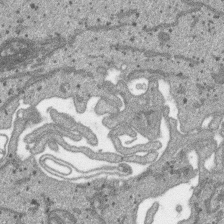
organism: Human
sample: Lung epithelial cells infected with SARS-CoV-2